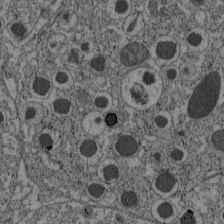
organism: C57BL Mouse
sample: Pancreatic islet